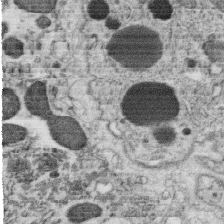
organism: C. elegans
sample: C. elegans oocyte; sperm cells